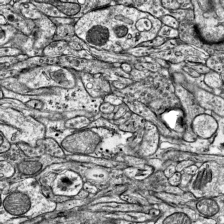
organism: Mouse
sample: Visual Cortex